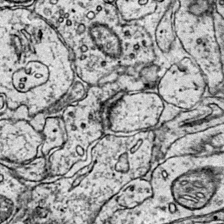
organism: Mouse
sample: Primary visual cortex